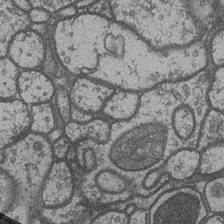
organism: Drosophila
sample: Optic medulla